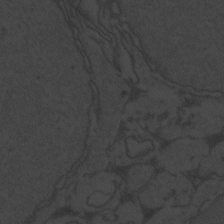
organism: Zebrafish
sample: Macrophage infected with Toxoplasma gondii